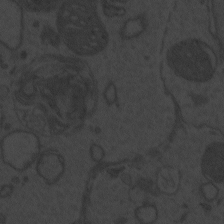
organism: Zebrafish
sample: Macrophage infected with Toxoplasma gondii